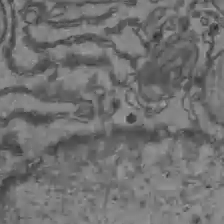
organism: C57BL Mouse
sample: Liver